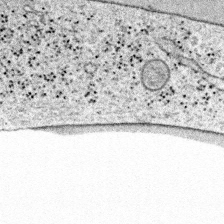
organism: Human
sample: HeLa cells